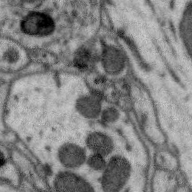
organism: Zebra finch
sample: Brain